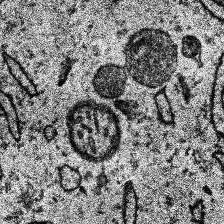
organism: Human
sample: Temporal Lobe